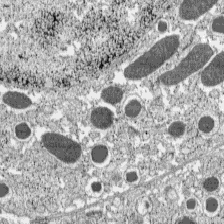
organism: C57BL Mouse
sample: Pancreatic islet